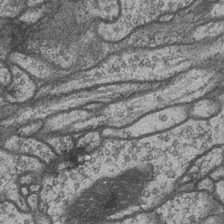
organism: Drosophila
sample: Optic medulla